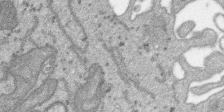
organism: Human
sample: Lung epithelial cells infected with SARS-CoV-2